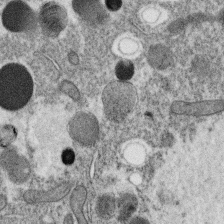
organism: C. elegans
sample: C. elegans oocyte; sperm cells